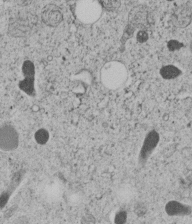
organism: C. elegans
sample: C. elegans embryo early stage